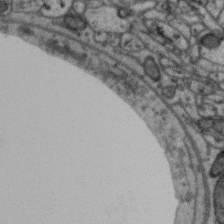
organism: Zebra finch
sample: Brain